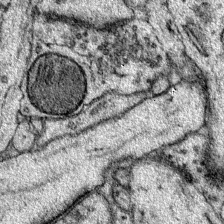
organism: Mouse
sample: Primary visual cortex